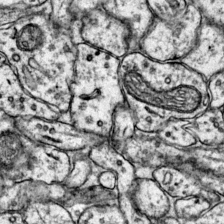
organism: Mouse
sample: Primary visual cortex